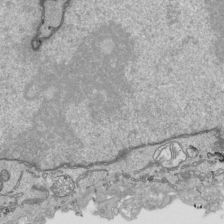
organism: Human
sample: Mitochondria in HCT116 cells